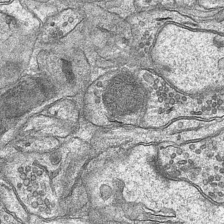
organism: Mouse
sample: CA1 Hippocampus